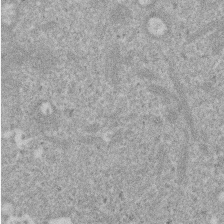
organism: Mouse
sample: Dividing mouse embryo 1 cell stage